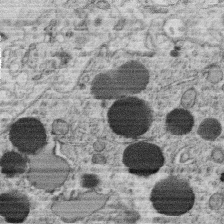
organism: C. elegans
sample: C. elegans oocyte; sperm cells